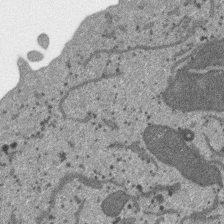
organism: Human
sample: Lung epithelial cells infected with SARS-CoV-2